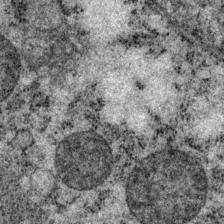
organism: P. pacificus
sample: Pharynx